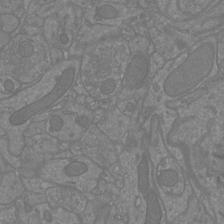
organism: Mouse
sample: Cortical neurons